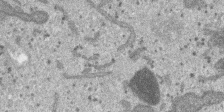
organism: Human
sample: Lung epithelial cells infected with SARS-CoV-2